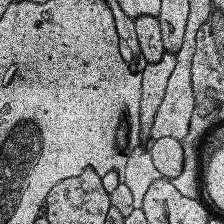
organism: Human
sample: Temporal Lobe